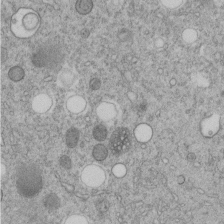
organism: C. elegans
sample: C. elegans embryo early stage